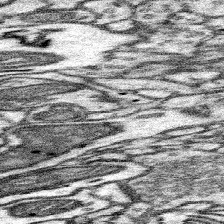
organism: Mouse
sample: Somatosensory cortex neuropil